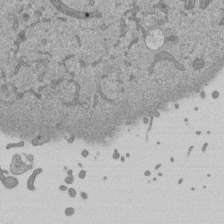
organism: Mouse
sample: ED-1 cell nuclei; centrioles